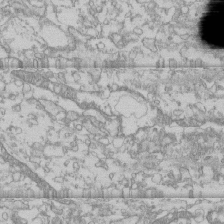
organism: Human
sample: CRL-1474